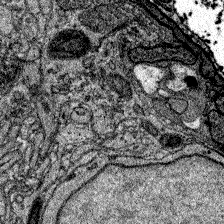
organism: Zebrafish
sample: Larval olfactory bulb